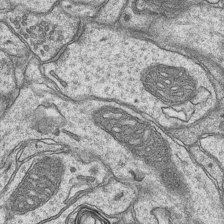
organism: Mouse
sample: CA1 Hippocampus